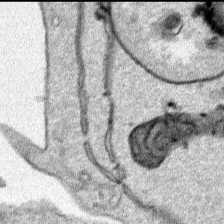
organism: Human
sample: Mitochondria in HCT116 cells